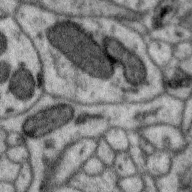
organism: Zebra finch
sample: Brain